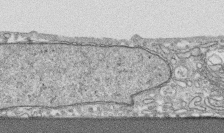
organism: Human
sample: CRL-1474